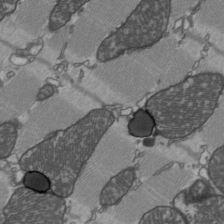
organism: C57BL Mouse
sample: Heart